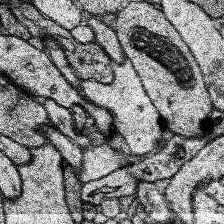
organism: Human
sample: Temporal Lobe